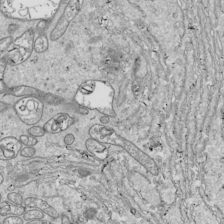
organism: Drosophila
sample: Cell division; meiosis; drosophila spermatocytes